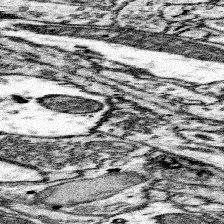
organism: Mouse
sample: Somatosensory cortex neuropil